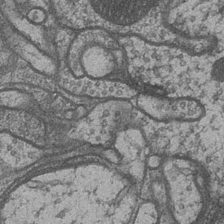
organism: Drosophila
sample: Optic medulla